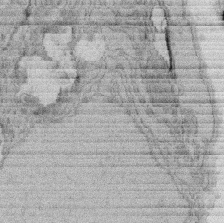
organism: Rat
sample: Salivary granule